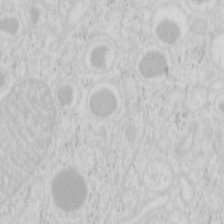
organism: Mouse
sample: Pancreas